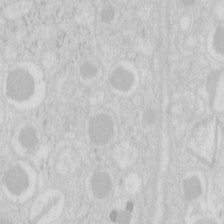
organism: Mouse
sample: Pancreas